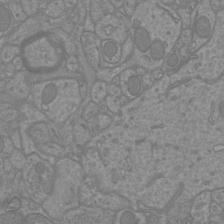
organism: Mouse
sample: Cortical neurons